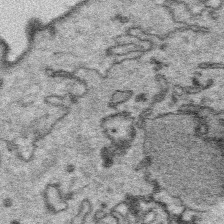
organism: Platynereis dumerilii